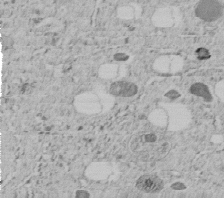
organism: C. elegans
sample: C. elegans embryo early stage